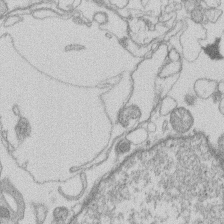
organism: Human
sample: Macrophage cells